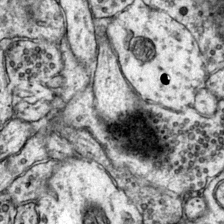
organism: Mouse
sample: Primary visual cortex